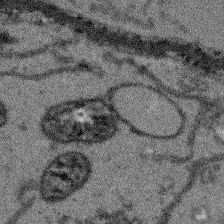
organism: Arabidopsis thaliana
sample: Root tip